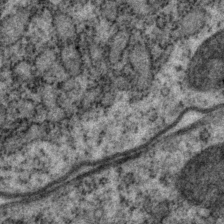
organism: P. pacificus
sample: Pharynx